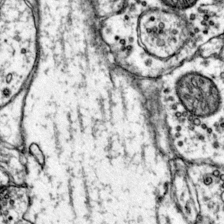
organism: Mouse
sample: Primary visual cortex